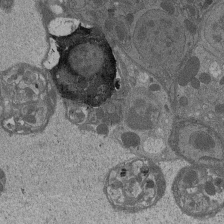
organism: Drosophila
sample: Antenna